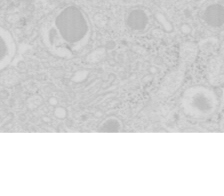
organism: Mouse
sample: Pancreas